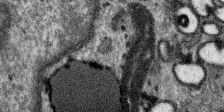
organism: Human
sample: Lung epithelial cells infected with SARS-CoV-2